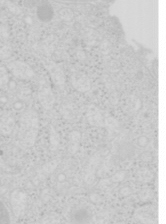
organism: Mouse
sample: Pancreas